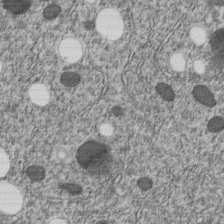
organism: C. elegans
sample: C. elegans embryo early stage